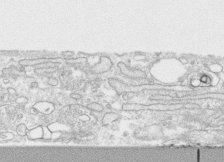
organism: Human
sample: CRL-1474